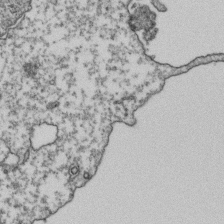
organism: Human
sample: Activated Jurkat CD4+ T cells